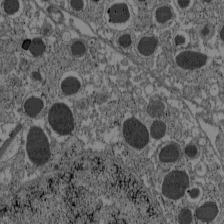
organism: C57BL Mouse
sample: Pancreatic islet